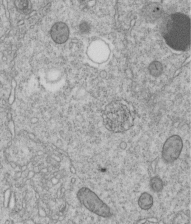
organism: C. elegans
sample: C. elegans embryo early stage